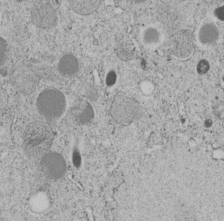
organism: C. elegans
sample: C. elegans embryo early stage